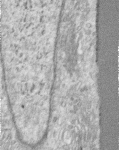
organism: Human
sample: Centriole in RPE cells